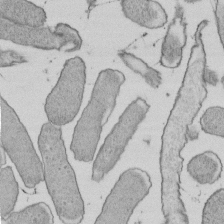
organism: E. coli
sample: Bacterial nucleoid